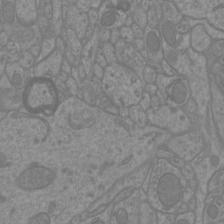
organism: Mouse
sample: Cortical neurons